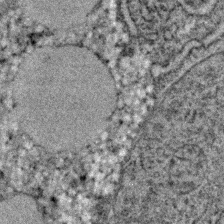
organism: C. elegans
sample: C. elegans embryo